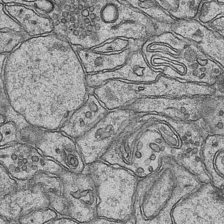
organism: Mouse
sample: CA1 Hippocampus